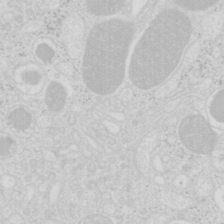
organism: Mouse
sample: Pancreas